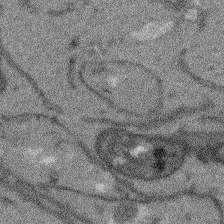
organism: Arabidopsis thaliana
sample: Root tip